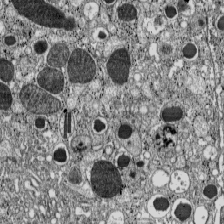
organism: C57BL Mouse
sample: Pancreatic islet